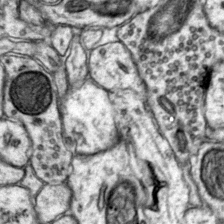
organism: Mouse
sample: Primary visual cortex